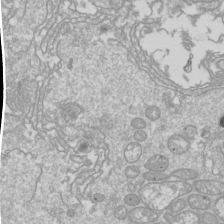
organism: Drosophila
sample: Cell division; meiosis; drosophila spermatocytes